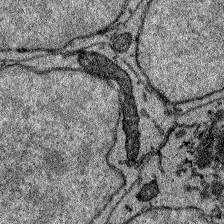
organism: Zebrafish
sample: Larval olfactory bulb